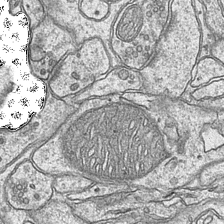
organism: Mouse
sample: CA1 Hippocampus